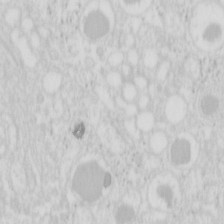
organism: Mouse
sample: Pancreas